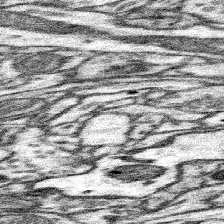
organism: Mouse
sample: Somatosensory cortex neuropil